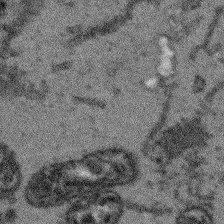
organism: Arabidopsis thaliana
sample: Root tip